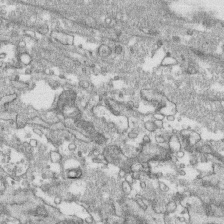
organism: Human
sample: CRL-1474